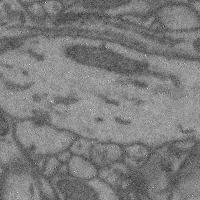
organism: Mouse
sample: Cerebral cortex